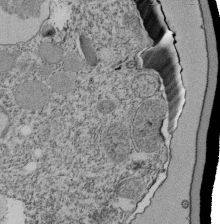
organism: Tetrahymena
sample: Cilia in tetrahymena